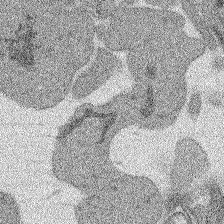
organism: Human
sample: HeLa cells